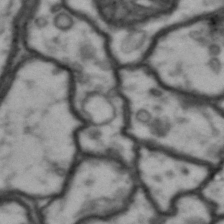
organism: Drosophila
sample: Brain